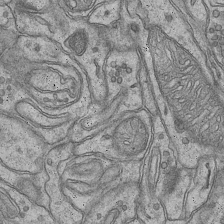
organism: Mouse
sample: CA1 Hippocampus